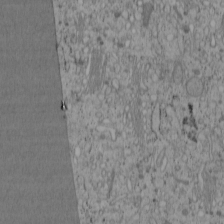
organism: African green monkey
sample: COS-7 cells